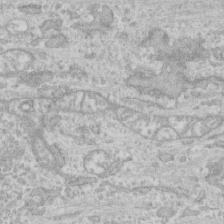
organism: Human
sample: CRL-1474